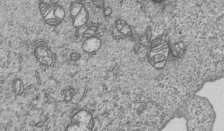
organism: Human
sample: MDA-MB-231 cells